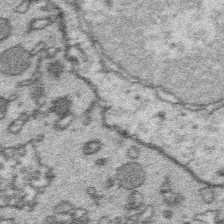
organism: Platynereis dumerilii